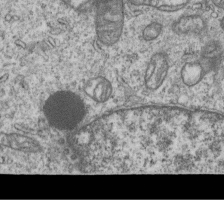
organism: Human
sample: MDA-MB-231 cells